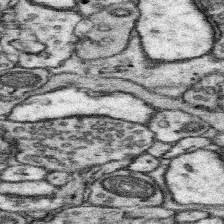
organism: Mouse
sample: Somatosensory cortex neuropil